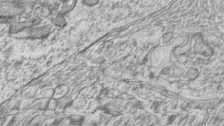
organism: Zebrafish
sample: synaptic ribbons in rod cells and cone cells